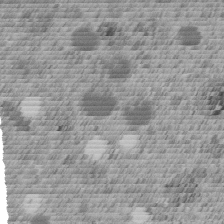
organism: C. elegans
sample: C. elegans embryo early stage